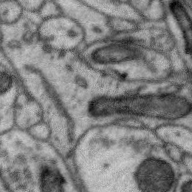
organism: Zebra finch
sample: Brain